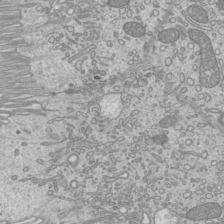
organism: Mouse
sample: Cilia; mouse epididymis